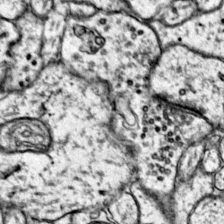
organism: Mouse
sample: Primary visual cortex